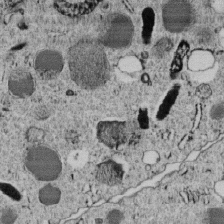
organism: C. elegans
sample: C. elegans embryo early stage